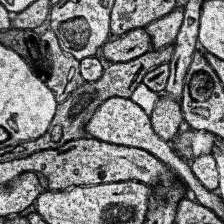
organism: Human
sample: Temporal Lobe